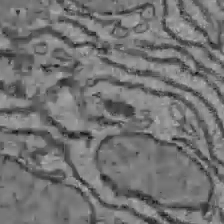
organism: C57BL Mouse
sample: Liver